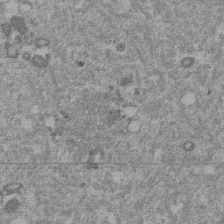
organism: Mouse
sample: Dividing mouse embryo 1 cell stage